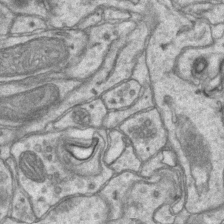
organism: Mouse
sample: CA1 Hippocampus